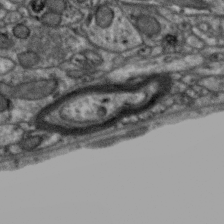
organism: Zebra finch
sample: Brain